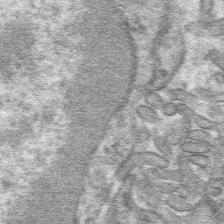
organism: Mouse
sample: Mouse hepatocytes